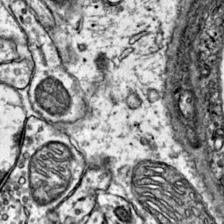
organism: Mouse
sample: Primary visual cortex